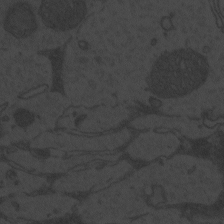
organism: Zebrafish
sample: Macrophage infected with Toxoplasma gondii